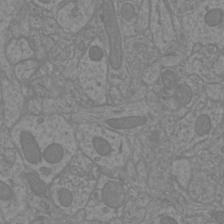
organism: Mouse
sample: Cortical neurons